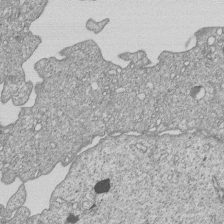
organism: Human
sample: MDA-MB-231 cells